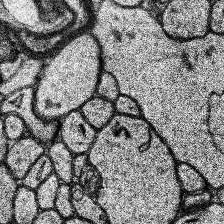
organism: Human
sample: Temporal Lobe